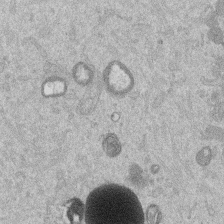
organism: Mouse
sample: Dividing mouse embryo 1 cell stage